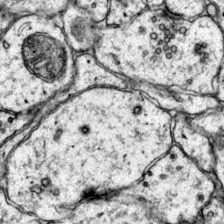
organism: Mouse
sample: Primary visual cortex